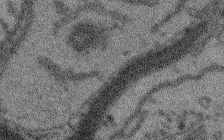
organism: Arabidopsis thaliana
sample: Root tip